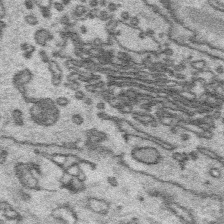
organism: Platynereis dumerilii